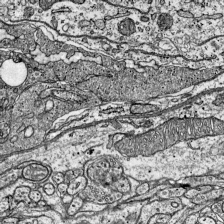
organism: Mouse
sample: Visual Cortex